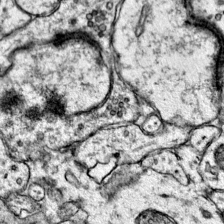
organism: Mouse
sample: Primary visual cortex